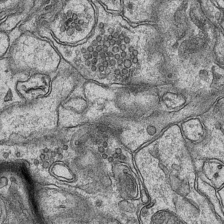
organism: Mouse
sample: CA1 Hippocampus